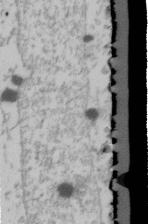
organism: Human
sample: U2-OS cells